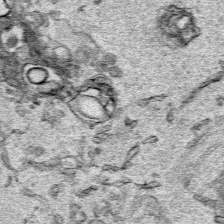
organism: Human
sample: Mitochondria in HCT116 cells